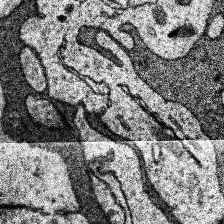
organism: Human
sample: Temporal Lobe